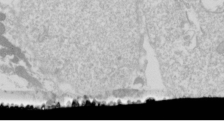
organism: Drosophila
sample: Cell division; meiosis; drosophila spermatocytes